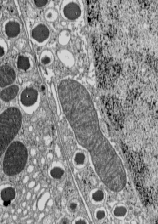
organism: C57BL Mouse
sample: Pancreatic islet